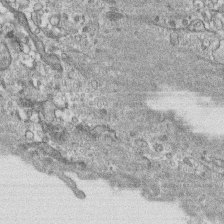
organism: Human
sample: CRL-1474